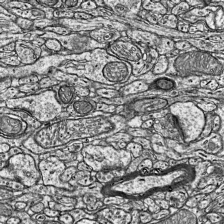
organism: Mouse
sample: Visual Cortex